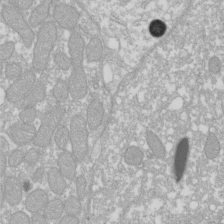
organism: Xenopus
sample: Cilia; centrioles in frog embryo cells